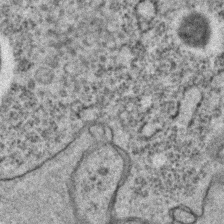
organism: C. elegans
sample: C. elegans embryo